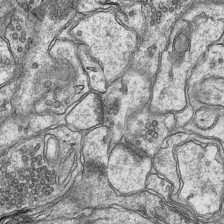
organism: Mouse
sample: CA1 Hippocampus